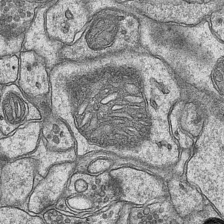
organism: Mouse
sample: CA1 Hippocampus